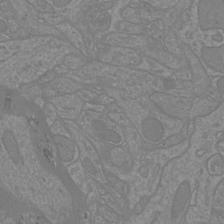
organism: Mouse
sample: Cortical neurons